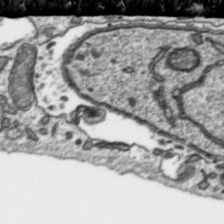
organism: Toxoplasma gondii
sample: Parasites in a vacuole inside a host cell